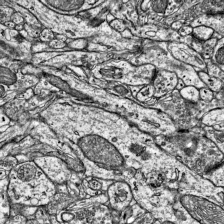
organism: Mouse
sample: Visual Cortex